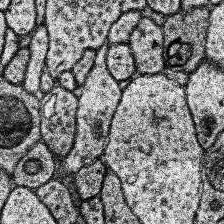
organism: Human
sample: Temporal Lobe